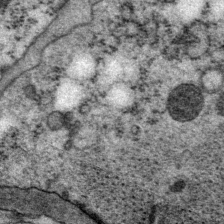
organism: P. pacificus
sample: Pharynx